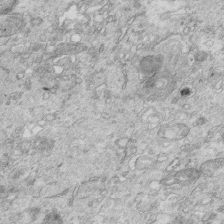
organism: Mouse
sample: Multiciliated cells